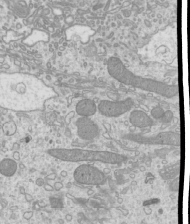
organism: Mouse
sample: Cilia; mouse epididymis